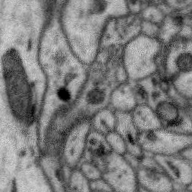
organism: Zebra finch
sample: Brain